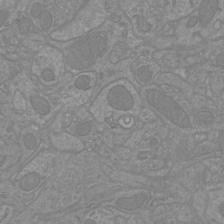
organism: Mouse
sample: Cortical neurons